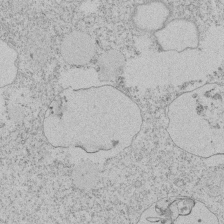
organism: Tetrahymena